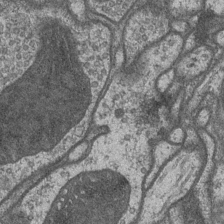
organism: Drosophila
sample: Optic medulla